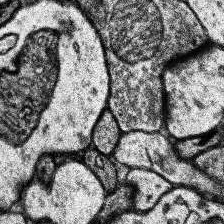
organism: Human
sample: Temporal Lobe